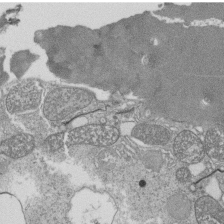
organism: Tetrahymena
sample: Cilia in tetrahymena